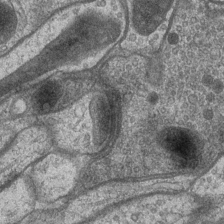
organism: Drosophila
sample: Optic medulla